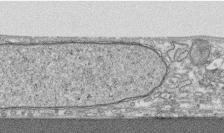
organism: Human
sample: CRL-1474